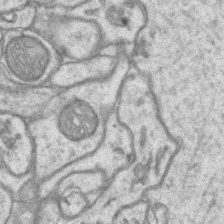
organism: Mouse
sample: CA1 Hippocampus